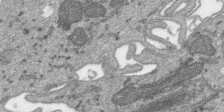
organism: Human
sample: Lung epithelial cells infected with SARS-CoV-2